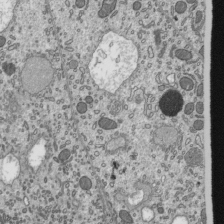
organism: Mouse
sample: Mouse epididymis efferent ductule cilia